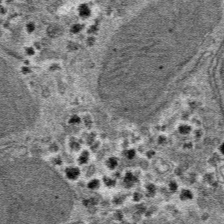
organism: Mouse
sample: Mouse hepatocytes